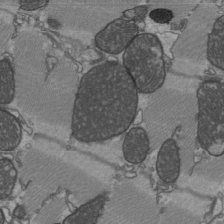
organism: C57BL Mouse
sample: Heart